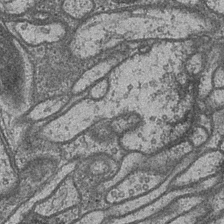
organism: Drosophila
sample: Optic medulla